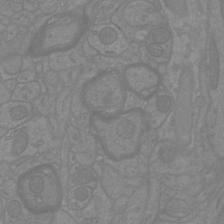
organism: Mouse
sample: Cortical neurons